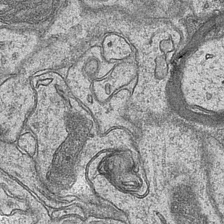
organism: Mouse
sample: CA1 Hippocampus